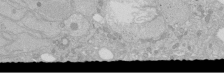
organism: Human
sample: Caco-2 cells